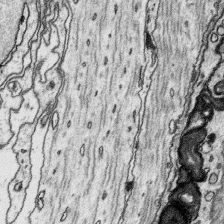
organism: Platynereis dumerilii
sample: Parapodia